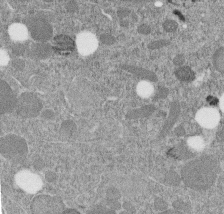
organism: C. elegans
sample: C. elegans embryo early stage